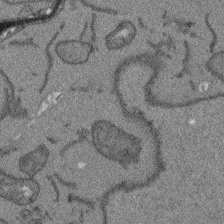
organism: Arabidopsis thaliana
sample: Root tip